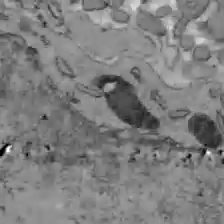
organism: C57BL Mouse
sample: Liver